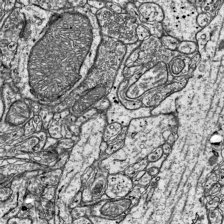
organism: Mouse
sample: Visual Cortex